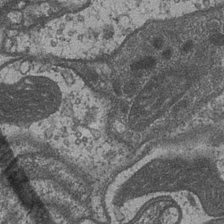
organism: Drosophila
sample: Optic medulla